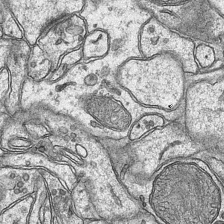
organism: Mouse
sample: CA1 Hippocampus